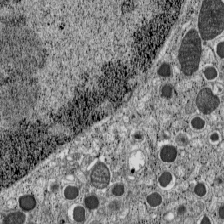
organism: C57BL Mouse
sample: Pancreatic islet